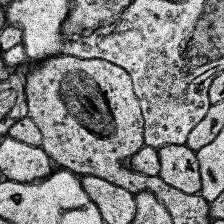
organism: Human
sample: Temporal Lobe